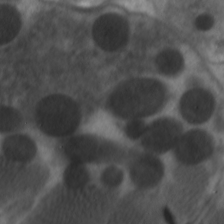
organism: C. elegans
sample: Pharynx